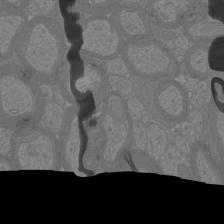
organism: Mouse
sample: Cortical neurons